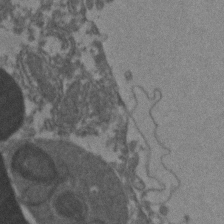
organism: Zebrafish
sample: Zebrafish embryo